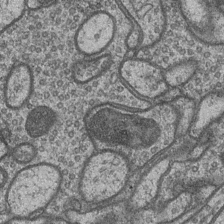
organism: Drosophila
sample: Optic medulla